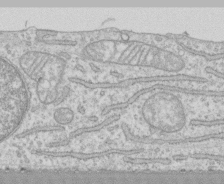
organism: Human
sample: CRL-1474